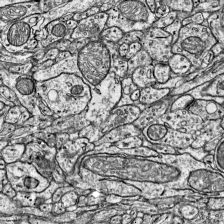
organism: Mouse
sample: Visual Cortex